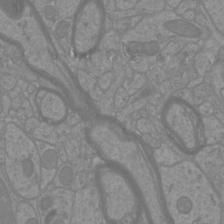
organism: Mouse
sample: Cortical neurons